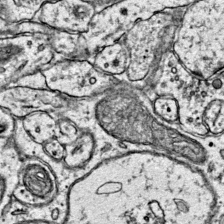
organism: Mouse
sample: Primary visual cortex